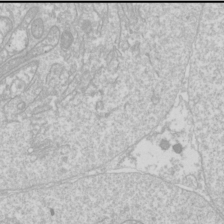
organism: Drosophila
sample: Cell division; meiosis; drosophila spermatocytes